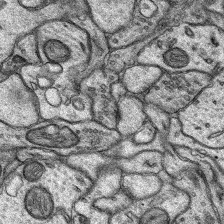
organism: Rat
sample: Hippocampus